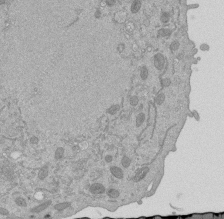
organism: Mouse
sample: ED-1 cell nuclei; centrioles